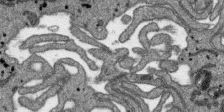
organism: Human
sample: Lung epithelial cells, uninfected (mock) control